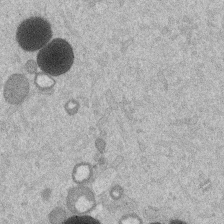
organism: Mouse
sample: Dividing mouse embryo 1 cell stage